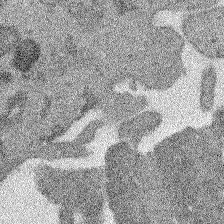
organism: Human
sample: HeLa cells